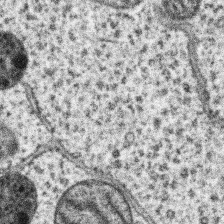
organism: Human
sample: HeLa cells